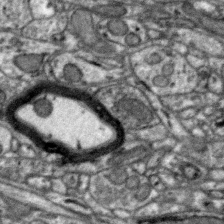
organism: Zebra finch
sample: Brain